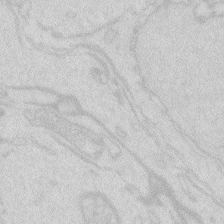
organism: Zebrafish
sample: Macrophage